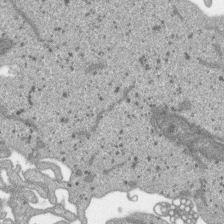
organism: Human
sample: Lung epithelial cells infected with SARS-CoV-2